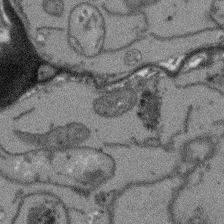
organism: Arabidopsis thaliana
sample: Root tip